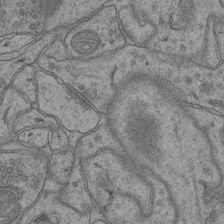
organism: Mouse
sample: CA1 Hippocampus